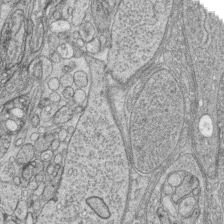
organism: Zebrafish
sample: synaptic ribbons in rod cells and cone cells